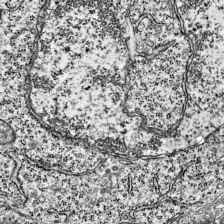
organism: Mouse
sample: Visual Cortex